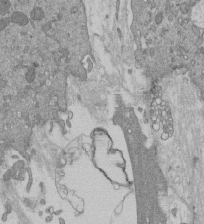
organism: Mouse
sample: ED-1 cell nuclei; centrioles